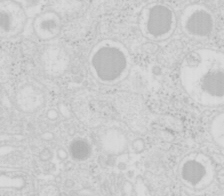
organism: Mouse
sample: Pancreas